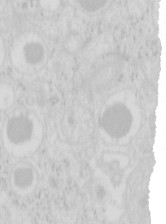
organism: Mouse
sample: Pancreas